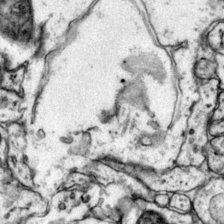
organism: Mouse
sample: Primary visual cortex